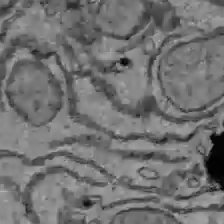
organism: C57BL Mouse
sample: Liver